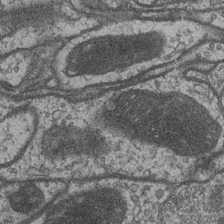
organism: Drosophila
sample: Optic medulla